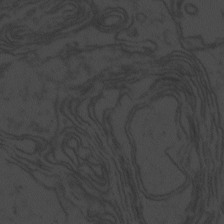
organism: Zebrafish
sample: Macrophage infected with Toxoplasma gondii